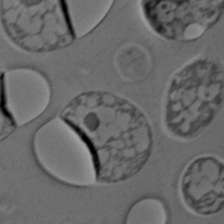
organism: C. elegans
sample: C. elegans embryo